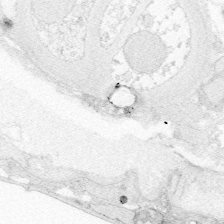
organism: Zebrafish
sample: Whole-Brain